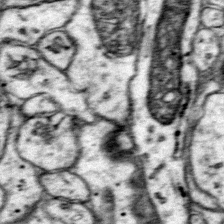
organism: Mouse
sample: Primary visual cortex